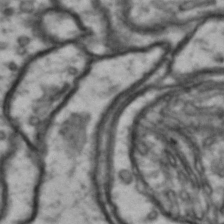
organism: Drosophila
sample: Brain